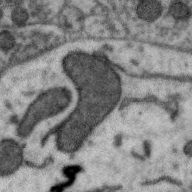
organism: Zebra finch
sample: Brain